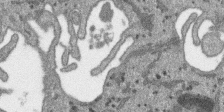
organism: Human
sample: Lung epithelial cells infected with SARS-CoV-2